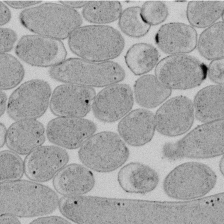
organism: E. coli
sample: Bacterial nucleoid